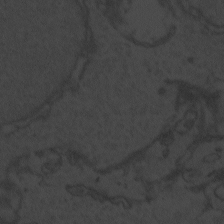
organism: Zebrafish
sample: Macrophage infected with Toxoplasma gondii